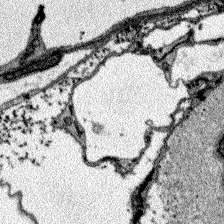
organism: Zebrafish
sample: Larval olfactory bulb